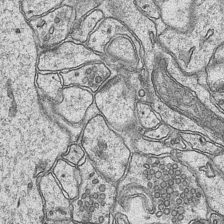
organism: Mouse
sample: CA1 Hippocampus